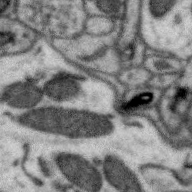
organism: Zebra finch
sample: Brain